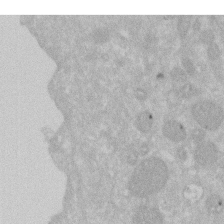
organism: Human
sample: HIV infected U937 cells